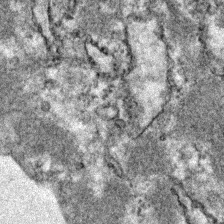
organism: Zebrafish